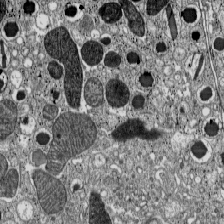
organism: C57BL Mouse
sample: Pancreatic islet